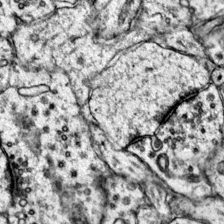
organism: Mouse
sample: Primary visual cortex